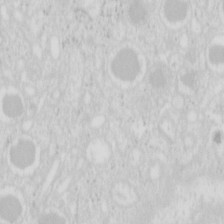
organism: Mouse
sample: Pancreas